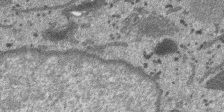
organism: Human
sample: Lung epithelial cells infected with SARS-CoV-2